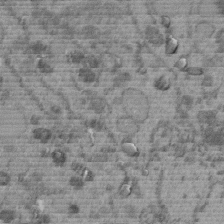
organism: C. elegans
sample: C. elegans embryo early stage